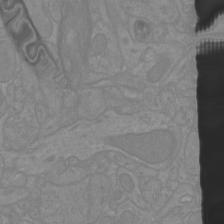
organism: Mouse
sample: Cortical neurons